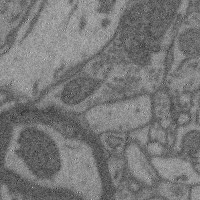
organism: Mouse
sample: Cerebral cortex